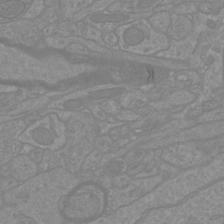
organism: Mouse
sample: Cortical neurons